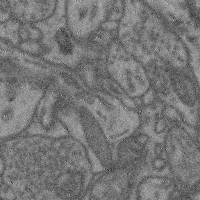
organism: Mouse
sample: Cerebral cortex